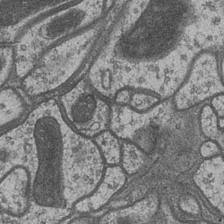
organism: Drosophila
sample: Optic medulla